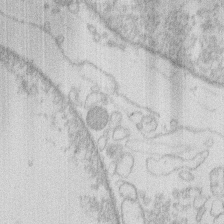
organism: Human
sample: Macrophage cells